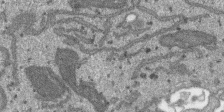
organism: Human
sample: Lung epithelial cells infected with SARS-CoV-2